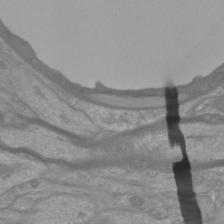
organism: Mouse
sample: Cortical neurons